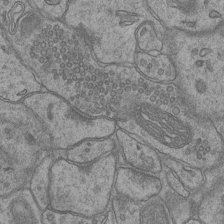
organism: Mouse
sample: CA1 Hippocampus